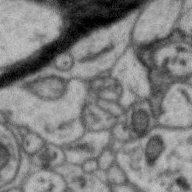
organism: Zebra finch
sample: Brain